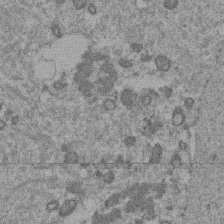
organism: Mouse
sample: Dividing mouse embryo 1 cell stage